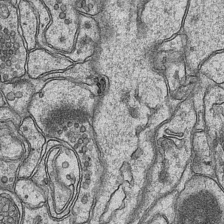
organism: Mouse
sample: CA1 Hippocampus